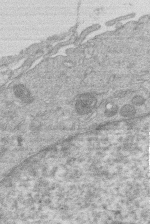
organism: Human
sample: Macrophage cells